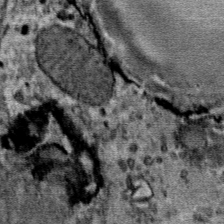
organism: Mouse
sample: Mouse Salivary gland